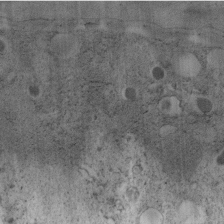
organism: C. elegans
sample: C. elegans embryo early stage